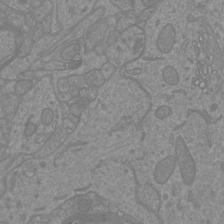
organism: Mouse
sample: Cortical neurons